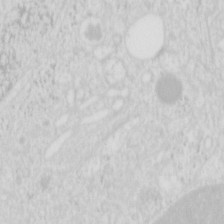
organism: Mouse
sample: Pancreas